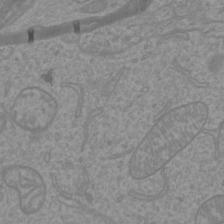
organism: Mouse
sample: Cortical neurons